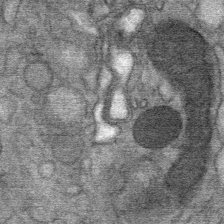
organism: Mouse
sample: Mouse Salivary gland